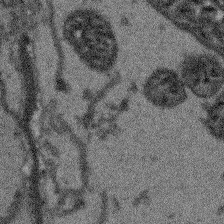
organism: Arabidopsis thaliana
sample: Root tip